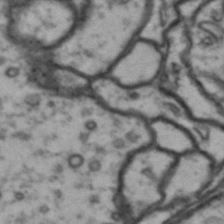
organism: Drosophila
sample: Brain